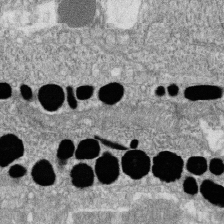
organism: Zebrafish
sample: Cilia; retinal pigment epithelium